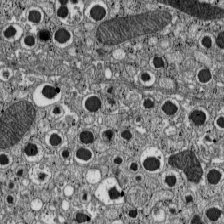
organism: C57BL Mouse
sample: Pancreatic islet